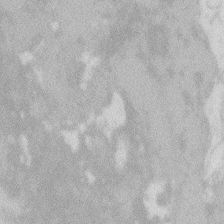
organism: Zebrafish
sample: Macrophage